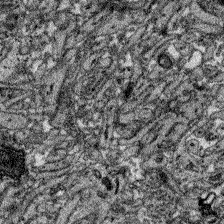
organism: Zebrafish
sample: Larval olfactory bulb